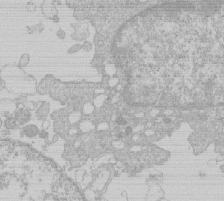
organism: Human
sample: Macrophage cells